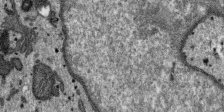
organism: Human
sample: Lung epithelial cells, uninfected (mock) control